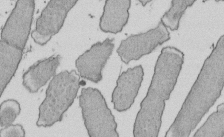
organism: E. coli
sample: Bacterial nucleoid